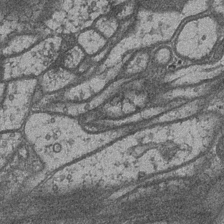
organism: Drosophila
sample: Optic medulla